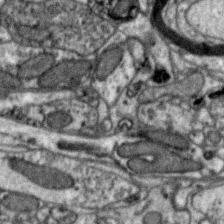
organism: Zebra finch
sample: Brain